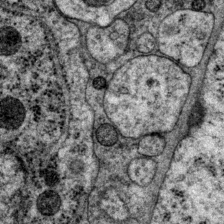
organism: P. pacificus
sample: Pharynx